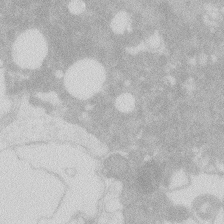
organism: Zebrafish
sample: Macrophage